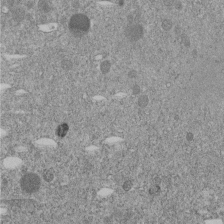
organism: C. elegans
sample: C. elegans embryo early stage